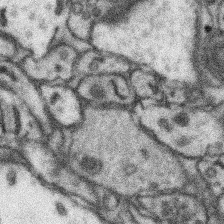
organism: Mouse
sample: Somatosensory cortex neuropil